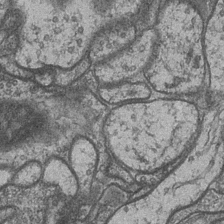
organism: Drosophila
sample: Optic medulla